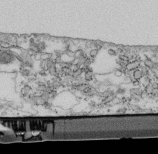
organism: Mouse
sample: Cilia; retinal pigment epithelium